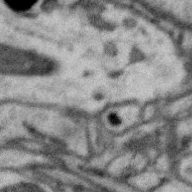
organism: Zebra finch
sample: Brain